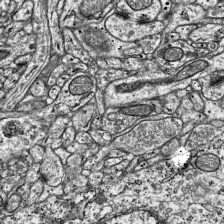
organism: Mouse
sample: Visual Cortex